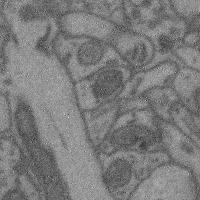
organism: Mouse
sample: Cerebral cortex